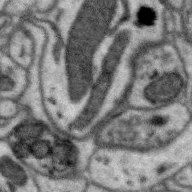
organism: Zebra finch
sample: Brain